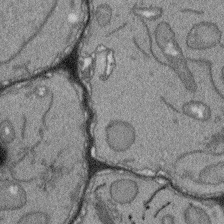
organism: Arabidopsis thaliana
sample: Root tip